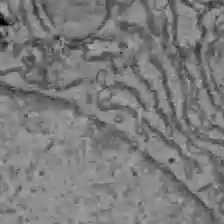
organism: C57BL Mouse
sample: Liver